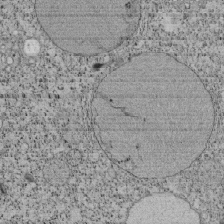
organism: Tetrahymena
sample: Cilia in tetrahymena